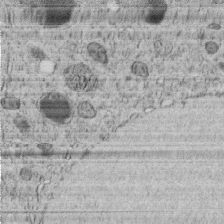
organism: C. elegans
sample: C. elegans embryo early stage